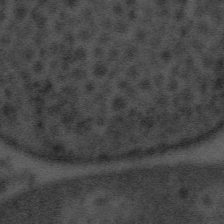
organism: Tuwongella immobilis